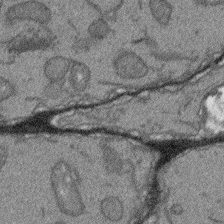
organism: Arabidopsis thaliana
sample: Root tip